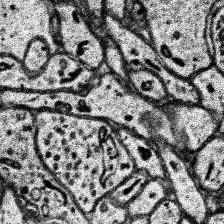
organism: Human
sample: Temporal Lobe